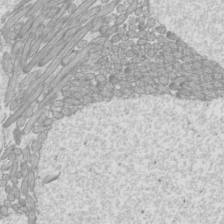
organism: Mouse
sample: Cilia; mouse epididymis